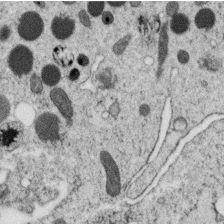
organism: C. elegans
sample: C. elegans oocyte; sperm cells